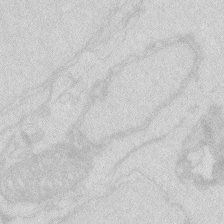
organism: Zebrafish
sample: Macrophage